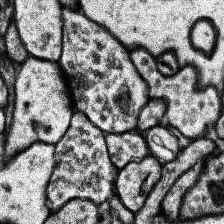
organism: Human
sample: Temporal Lobe